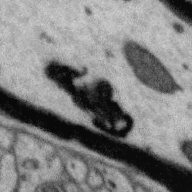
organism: Zebra finch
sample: Brain